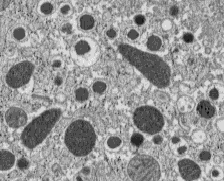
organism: C57BL Mouse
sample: Pancreatic islet